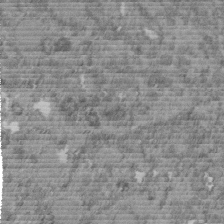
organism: C. elegans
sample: C. elegans embryo early stage